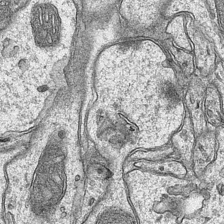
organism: Mouse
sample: CA1 Hippocampus